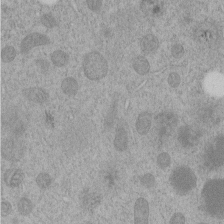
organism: C. elegans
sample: C. elegans embryo early stage